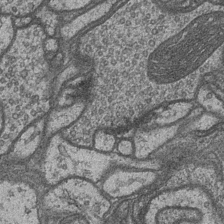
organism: Drosophila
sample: Optic medulla